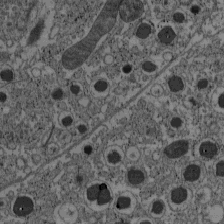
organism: C57BL Mouse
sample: Pancreatic islet